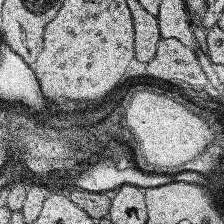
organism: Human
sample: Temporal Lobe